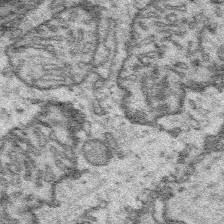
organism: Platynereis dumerilii